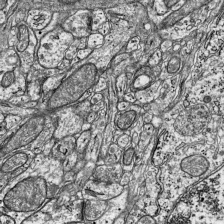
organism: Mouse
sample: Visual Cortex